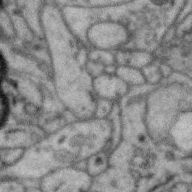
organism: Zebra finch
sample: Brain